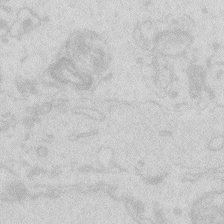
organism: Zebrafish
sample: Macrophage